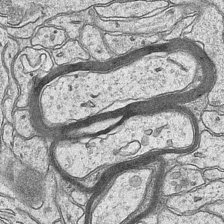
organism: Mouse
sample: CA1 Hippocampus